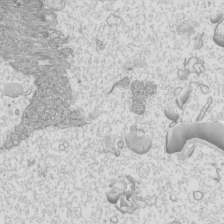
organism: Mouse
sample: Cilia; mouse epididymis